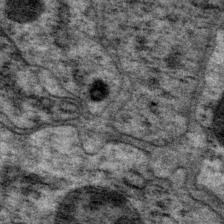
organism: P. pacificus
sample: Pharynx